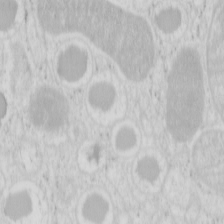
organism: Mouse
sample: Pancreas